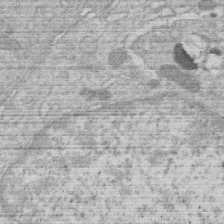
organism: Human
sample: Macrophage cells